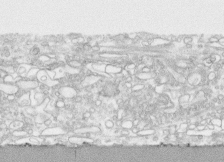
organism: Human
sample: CRL-1474